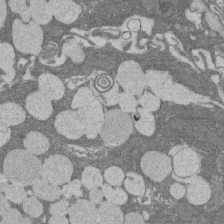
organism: Rat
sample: Salivary granule